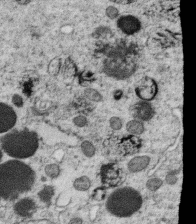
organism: C. elegans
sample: C. elegans oocyte; sperm cells